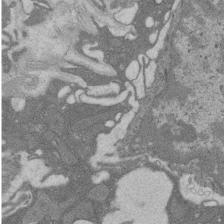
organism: Rat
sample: Salivary granule